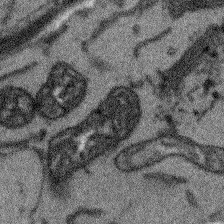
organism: Arabidopsis thaliana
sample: Root tip